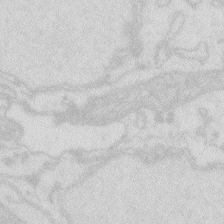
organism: Zebrafish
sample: Macrophage